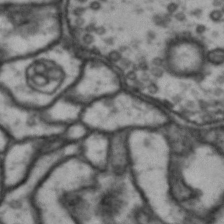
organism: Drosophila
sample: Brain